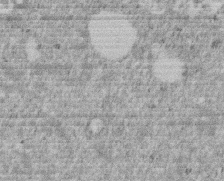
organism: Mouse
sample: Dividing mouse embryo 1 cell stage